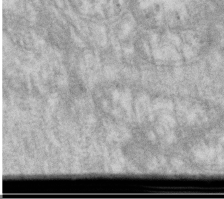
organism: Drosophila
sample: Cell division; meiosis; drosophila spermatocytes